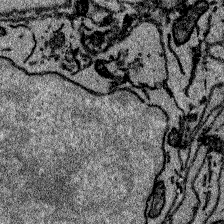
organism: Zebrafish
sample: Larval olfactory bulb